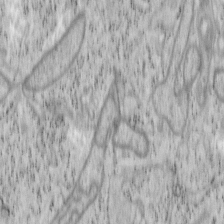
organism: Human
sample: HeLa cells